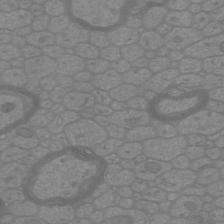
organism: Mouse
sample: Cortical neurons